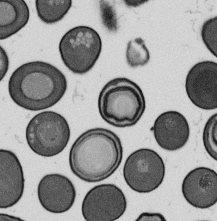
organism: B. subtilis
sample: Bacterial spore